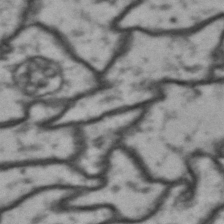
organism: Drosophila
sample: Brain